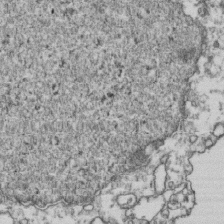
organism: Human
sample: Activated Jurkat CD4+ T cells